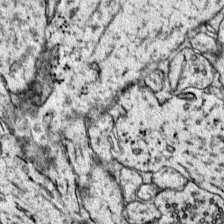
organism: Mouse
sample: Primary visual cortex